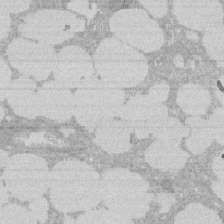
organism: Rat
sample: Salivary granule